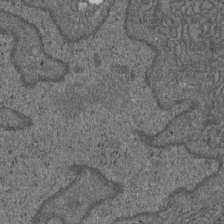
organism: Drosophila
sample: Nephrocyte